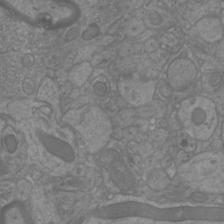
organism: Mouse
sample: Cortical neurons